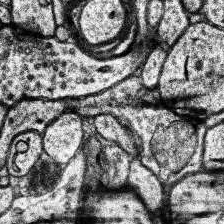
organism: Human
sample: Temporal Lobe